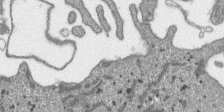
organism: Human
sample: Lung epithelial cells infected with SARS-CoV-2